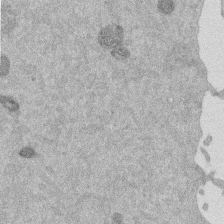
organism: Mouse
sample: Dividing mouse embryo 1 cell stage